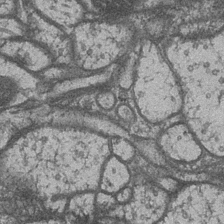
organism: Drosophila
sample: Optic medulla